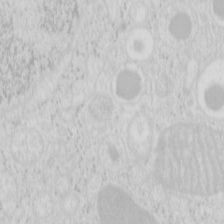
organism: Mouse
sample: Pancreas